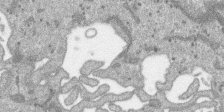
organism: Human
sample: Lung epithelial cells infected with SARS-CoV-2